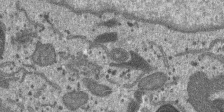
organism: Human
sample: Lung epithelial cells infected with SARS-CoV-2